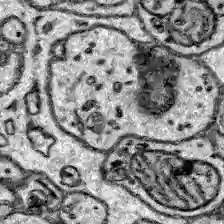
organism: Zebrafish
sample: Brain